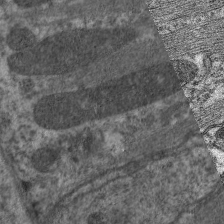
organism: C. elegans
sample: Pharynx